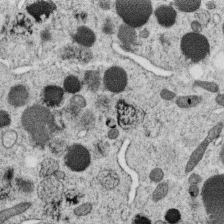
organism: C. elegans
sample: C. elegans oocyte; sperm cells